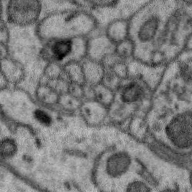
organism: Zebra finch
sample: Brain